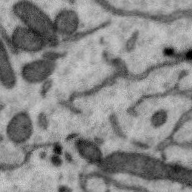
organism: Zebra finch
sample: Brain